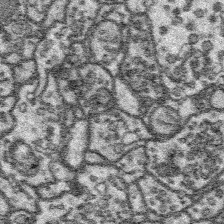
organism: Platynereis dumerilii